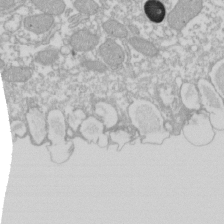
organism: Xenopus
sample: Cilia; centrioles in frog embryo cells